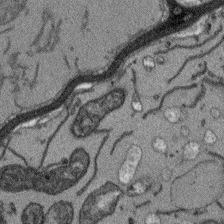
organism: Arabidopsis thaliana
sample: Root tip